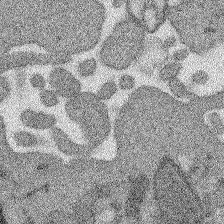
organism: Human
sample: HeLa cells